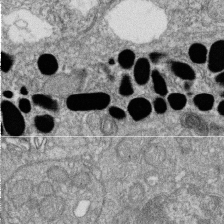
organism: Zebrafish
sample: Cilia; retinal pigment epithelium